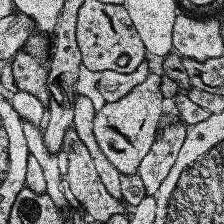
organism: Human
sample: Temporal Lobe